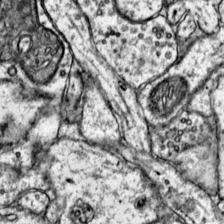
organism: Mouse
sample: Primary visual cortex